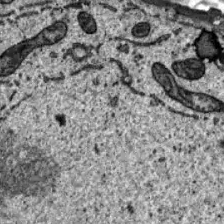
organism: Human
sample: HeLa cells